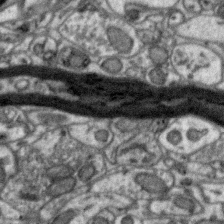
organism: Zebra finch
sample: Brain